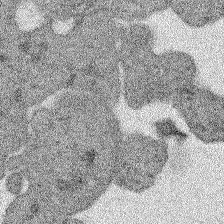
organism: Human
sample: HeLa cells